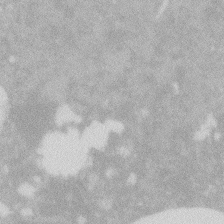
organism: Zebrafish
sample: Macrophage